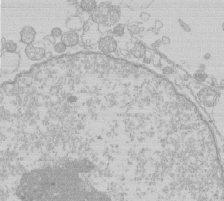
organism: Human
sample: Macrophage cells